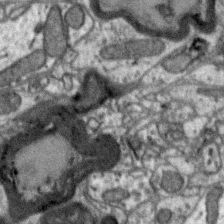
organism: Zebra finch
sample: Brain